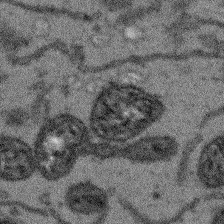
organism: Arabidopsis thaliana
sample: Root tip